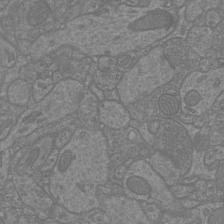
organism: Mouse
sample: Cortical neurons